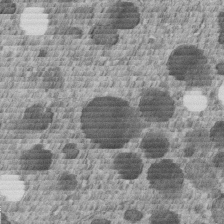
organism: C. elegans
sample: C. elegans embryo early stage